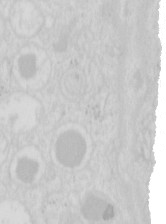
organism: Mouse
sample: Pancreas